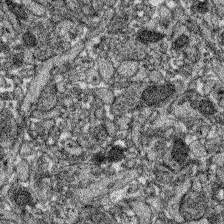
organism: Zebrafish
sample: Larval olfactory bulb